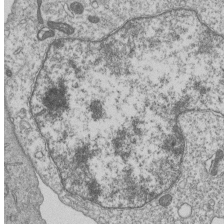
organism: Human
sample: MDA-MB-231 cells